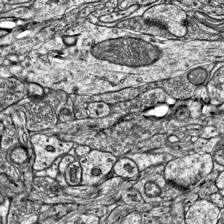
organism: Mouse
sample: Visual Cortex